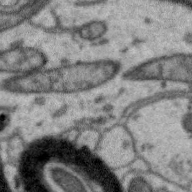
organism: Zebra finch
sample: Brain